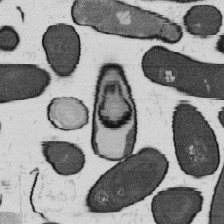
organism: B. subtilis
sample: Bacterial spore